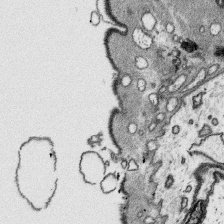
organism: Platynereis dumerilii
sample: Parapodia